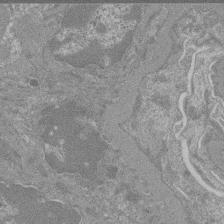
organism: Mouse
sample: Glomerulus